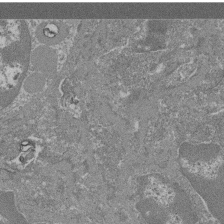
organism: Mouse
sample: Glomerulus